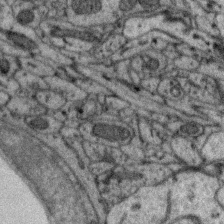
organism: Zebra finch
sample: Brain